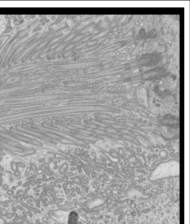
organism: Mouse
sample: Cilia; mouse epididymis